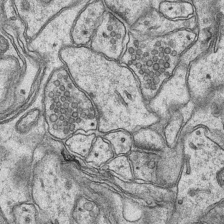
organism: Mouse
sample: CA1 Hippocampus